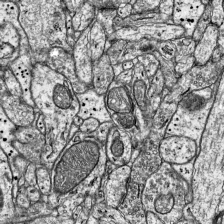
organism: Mouse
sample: Visual Cortex